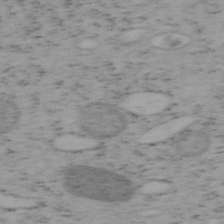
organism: Mouse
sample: OT-I killer T cells with ID8 ovarian cancer cells